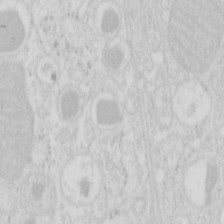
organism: Mouse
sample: Pancreas